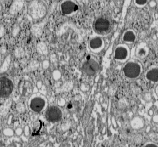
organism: C57BL Mouse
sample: Pancreatic islet